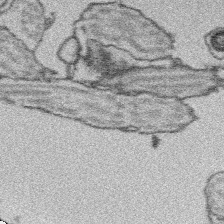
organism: Platynereis dumerilii